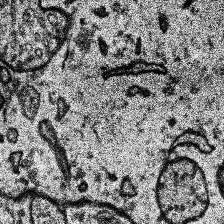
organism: Human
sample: Temporal Lobe